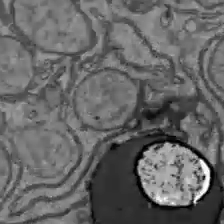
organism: C57BL Mouse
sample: Liver